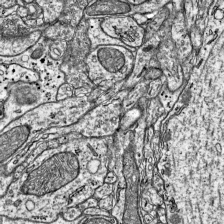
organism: Mouse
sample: Visual Cortex